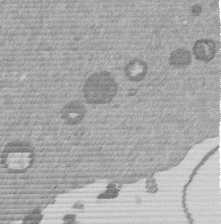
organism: Mouse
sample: Dividing mouse embryo 1 cell stage